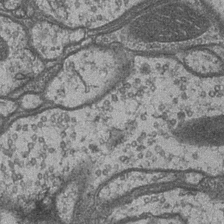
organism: Drosophila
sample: Optic medulla